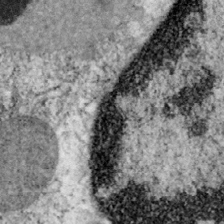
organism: Mouse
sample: OT-I killer T cells with ID8 ovarian cancer cells